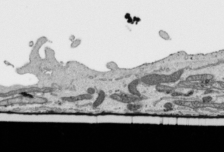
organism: Human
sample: Mitochondria in HCT116 cells